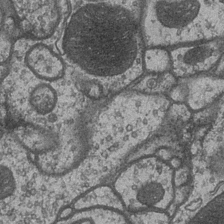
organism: Drosophila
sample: Optic medulla